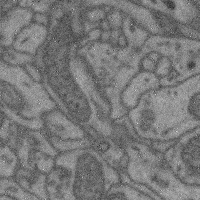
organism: Mouse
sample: Cerebral cortex